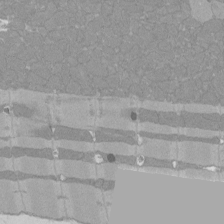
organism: Rat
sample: Left ventricle